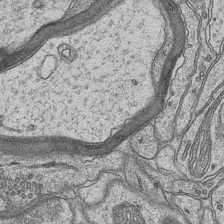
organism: Mouse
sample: CA1 Hippocampus